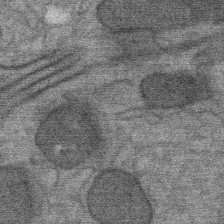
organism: Mouse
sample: Mouse Salivary gland